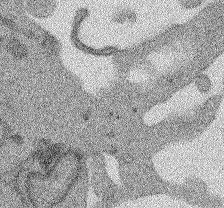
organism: Human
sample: HeLa cells